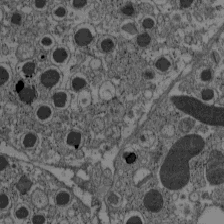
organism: C57BL Mouse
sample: Pancreatic islet